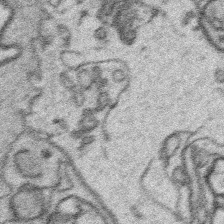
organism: Platynereis dumerilii